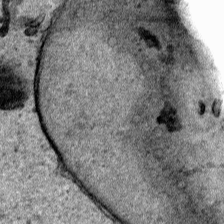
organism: Human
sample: Mitochondria in HCT116 cells